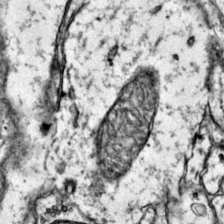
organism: Mouse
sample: Primary visual cortex